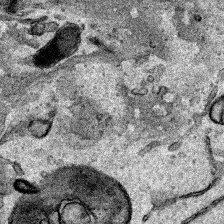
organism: Human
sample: Mitochondria in HCT116 cells